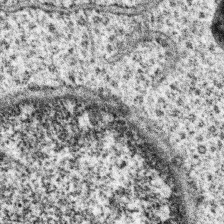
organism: Human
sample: HeLa cells